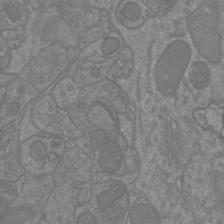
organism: Mouse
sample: Cortical neurons